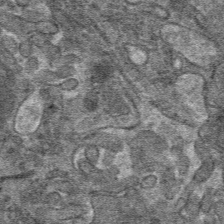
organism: Mouse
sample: Mouse hepatocytes